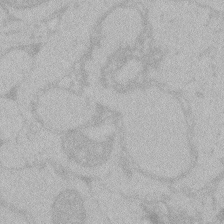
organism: Zebrafish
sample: Macrophage infected with Toxoplasma gondii